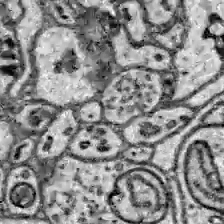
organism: Zebrafish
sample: Brain